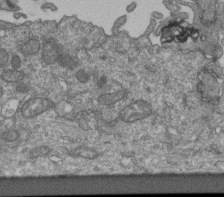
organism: Human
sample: Retinal organoid Rod and Cone cells